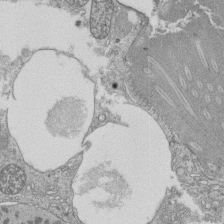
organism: Tetrahymena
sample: Cilia in tetrahymena